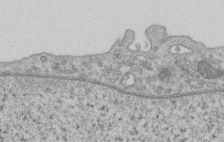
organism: Human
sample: Centriole in RPE cells